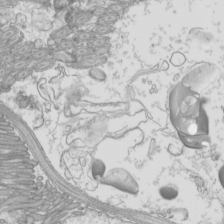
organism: Mouse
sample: Cilia; mouse epididymis